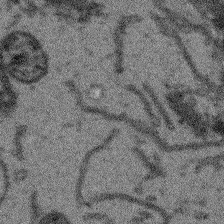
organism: Arabidopsis thaliana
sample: Root tip